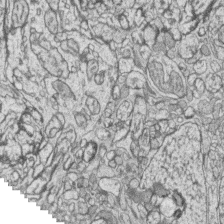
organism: Zebrafish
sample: synaptic ribbons in rod cells and cone cells